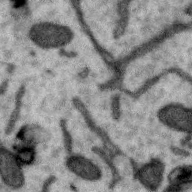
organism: Zebra finch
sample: Brain